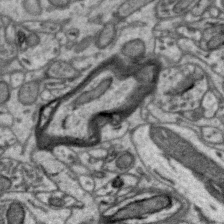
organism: Zebra finch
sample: Brain